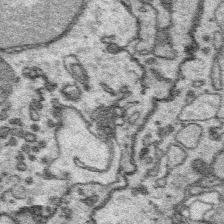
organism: Platynereis dumerilii